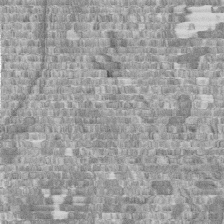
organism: Human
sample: Centriole in fibroblast cells